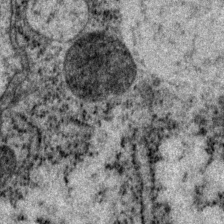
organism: P. pacificus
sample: Pharynx